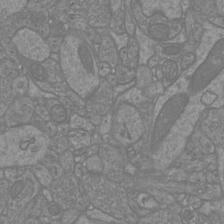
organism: Mouse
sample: Cortical neurons